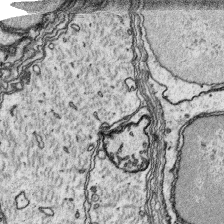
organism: Platynereis dumerilii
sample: Parapodia